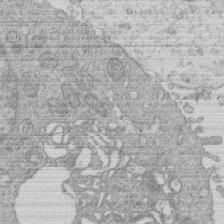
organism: Human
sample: Macrophage cells